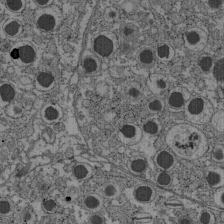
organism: C57BL Mouse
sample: Pancreatic islet